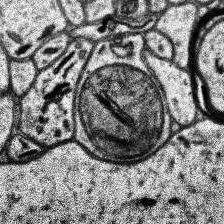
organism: Human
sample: Temporal Lobe